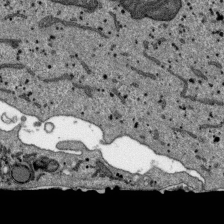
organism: Human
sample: Lung epithelial cells, uninfected (mock) control